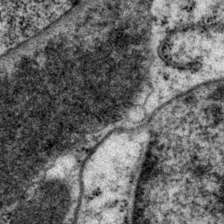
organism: P. pacificus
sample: Pharynx